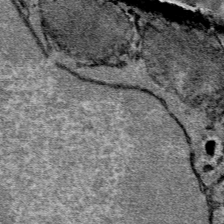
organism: Mouse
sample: Mouse Salivary gland